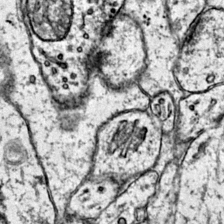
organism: Mouse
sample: Primary visual cortex